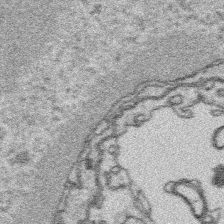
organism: Platynereis dumerilii